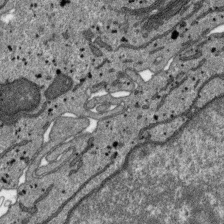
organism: Human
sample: Lung epithelial cells, uninfected (mock) control